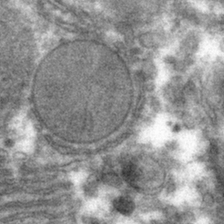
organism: Mouse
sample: Mouse hepatocytes